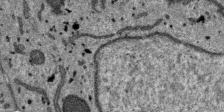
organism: Human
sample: Lung epithelial cells, uninfected (mock) control